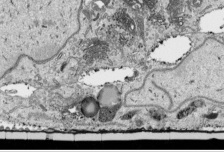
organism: Human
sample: Mitochondria in HCT116 cells